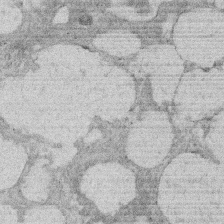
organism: Rat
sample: Salivary granule